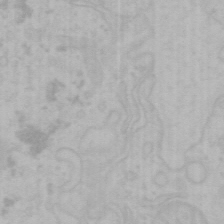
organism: Mouse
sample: Choroid plexus